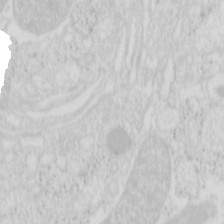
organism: Mouse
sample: Pancreas